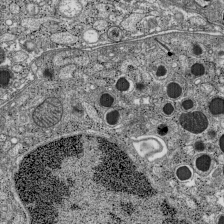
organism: C57BL Mouse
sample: Pancreatic islet